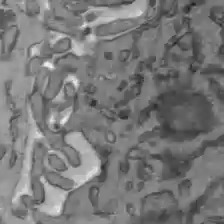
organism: C57BL Mouse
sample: Liver